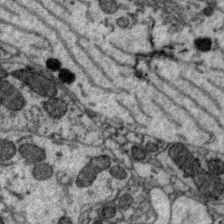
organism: Zebra finch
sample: Brain